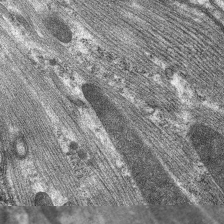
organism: C. elegans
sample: Pharynx